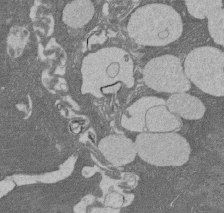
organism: Rat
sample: Salivary granule